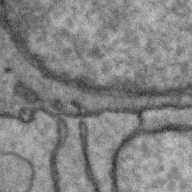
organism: Zebra finch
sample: Brain